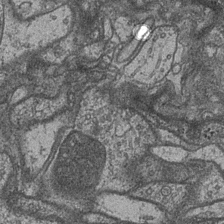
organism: Drosophila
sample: Optic medulla